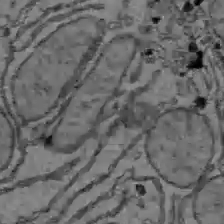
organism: C57BL Mouse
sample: Liver